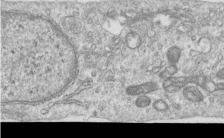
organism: Human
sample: Centriole in RPE cells